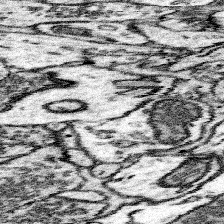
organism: Mouse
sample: Somatosensory cortex neuropil